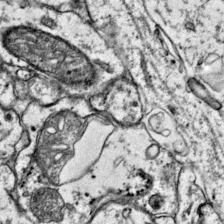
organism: Mouse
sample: Primary visual cortex